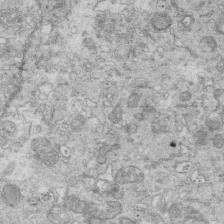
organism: Mouse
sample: Multiciliated cells